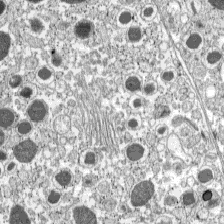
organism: C57BL Mouse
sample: Pancreatic islet